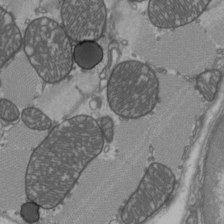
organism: C57BL Mouse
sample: Heart